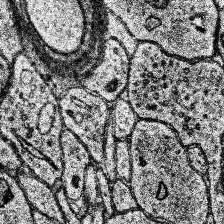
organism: Human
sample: Temporal Lobe